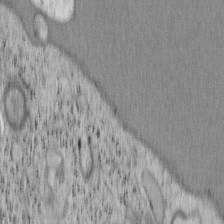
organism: Human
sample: HeLa cells